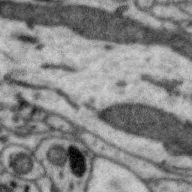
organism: Zebra finch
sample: Brain